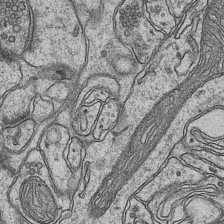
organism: Mouse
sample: CA1 Hippocampus